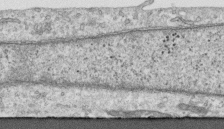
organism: Human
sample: Centriole in RPE cells